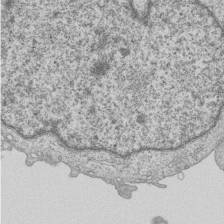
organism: Human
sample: MDA-MB-231 cells